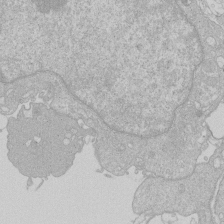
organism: Human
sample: Macrophage cells